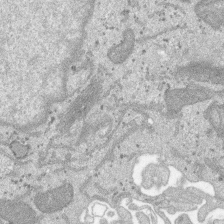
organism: Human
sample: Lung epithelial cells infected with SARS-CoV-2